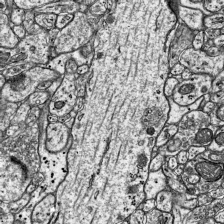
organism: Mouse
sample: Visual Cortex